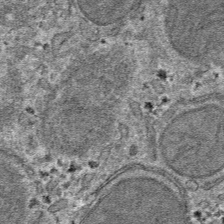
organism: Mouse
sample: Mouse hepatocytes